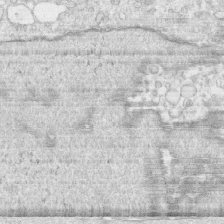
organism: Human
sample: CRL-1474